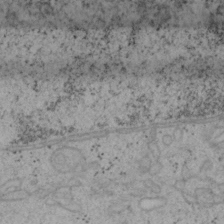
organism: Human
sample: HeLa cells